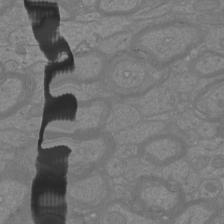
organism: Mouse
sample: Cortical neurons